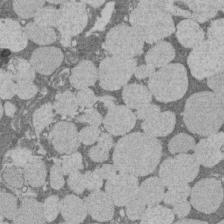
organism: Rat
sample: Salivary granule